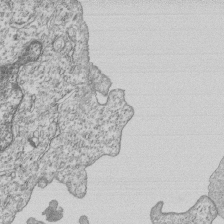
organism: Human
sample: MDA-MB-231 cells